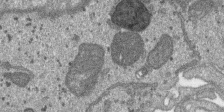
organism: Human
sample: Lung epithelial cells infected with SARS-CoV-2